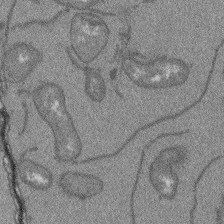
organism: Arabidopsis thaliana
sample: Root tip